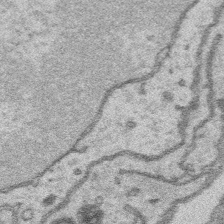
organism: Platynereis dumerilii